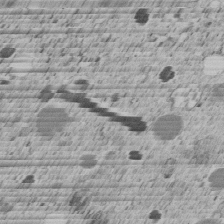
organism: C. elegans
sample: C. elegans embryo early stage